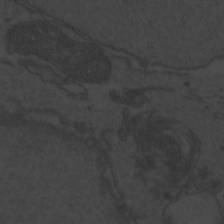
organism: Zebrafish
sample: Macrophage infected with Toxoplasma gondii